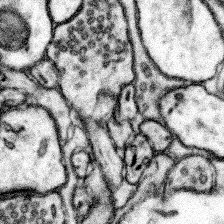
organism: Mouse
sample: Somatosensory cortex neuropil